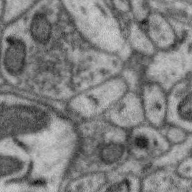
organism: Zebra finch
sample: Brain